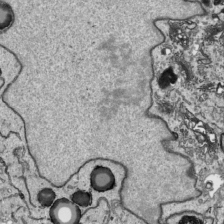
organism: Human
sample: Mitochondria in HCT116 cells